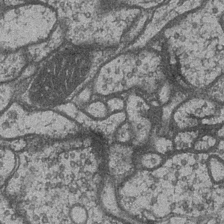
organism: Drosophila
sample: Optic medulla